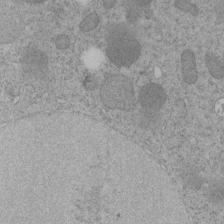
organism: C. elegans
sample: C. elegans embryo early stage